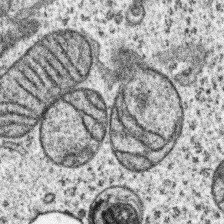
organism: Human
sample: HeLa cells